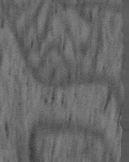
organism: Human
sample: HeLa cells